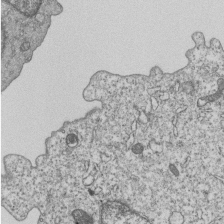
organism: Human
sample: MDA-MB-231 cells